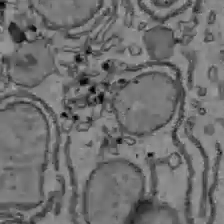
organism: C57BL Mouse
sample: Liver